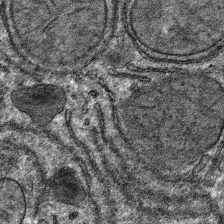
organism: Mouse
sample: Mouse hepatocytes